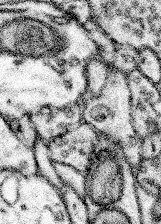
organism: Mouse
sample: Somatosensory cortex neuropil